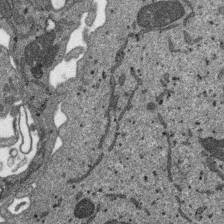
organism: Human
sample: Lung epithelial cells infected with SARS-CoV-2